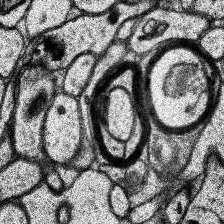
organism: Human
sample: Temporal Lobe